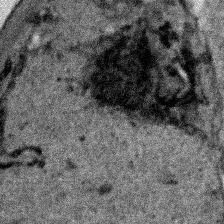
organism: Human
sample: Mitochondria in HCT116 cells